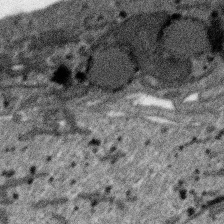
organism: Human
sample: Lung epithelial cells infected with SARS-CoV-2